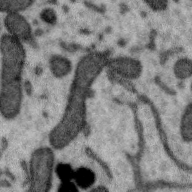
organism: Zebra finch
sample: Brain